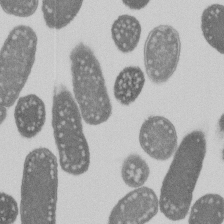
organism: E. coli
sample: Bacterial nucleoid